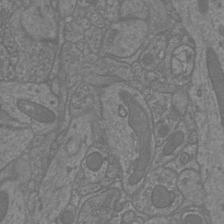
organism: Mouse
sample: Cortical neurons